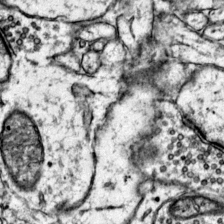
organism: Mouse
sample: Primary visual cortex